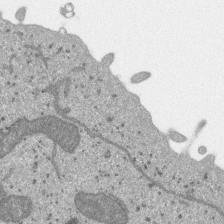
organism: Human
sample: Lung epithelial cells infected with SARS-CoV-2